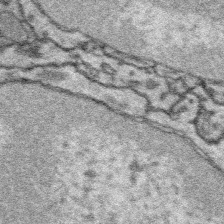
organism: Platynereis dumerilii